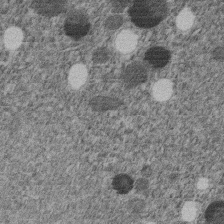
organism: C. elegans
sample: C. elegans embryo early stage